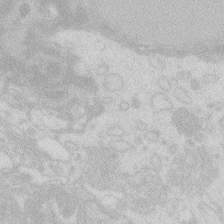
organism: Zebrafish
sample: Macrophage